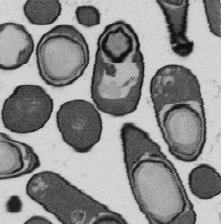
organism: B. subtilis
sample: Bacterial spore